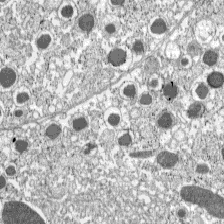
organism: C57BL Mouse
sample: Pancreatic islet